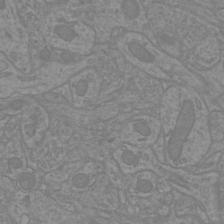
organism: Mouse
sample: Cortical neurons